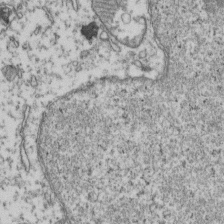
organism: Human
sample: Activated Jurkat CD4+ T cells